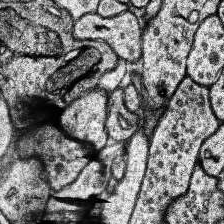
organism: Human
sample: Temporal Lobe